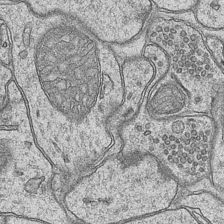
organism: Mouse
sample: CA1 Hippocampus